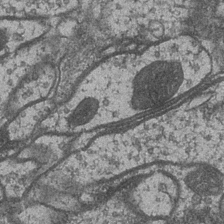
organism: Drosophila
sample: Optic medulla